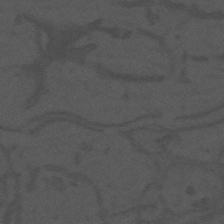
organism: Mouse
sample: Suprachiasmatic nucleus